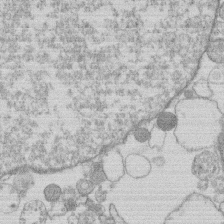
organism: Human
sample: Macrophage cells